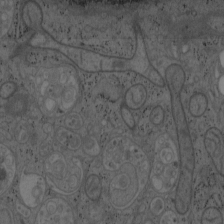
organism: Mouse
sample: OT-I killer T cells with ID8 ovarian cancer cells